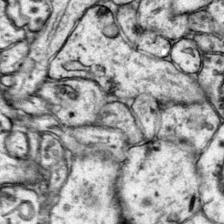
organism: Mouse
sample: Primary visual cortex